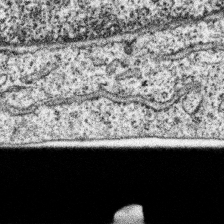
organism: Human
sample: HeLa cells